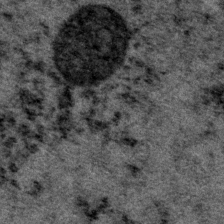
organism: P. pacificus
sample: Pharynx